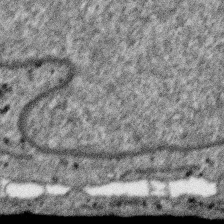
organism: Human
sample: Lung epithelial cells infected with SARS-CoV-2